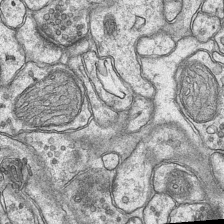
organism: Mouse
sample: CA1 Hippocampus